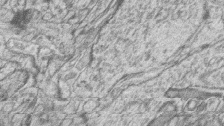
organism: Zebrafish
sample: synaptic ribbons in rod cells and cone cells